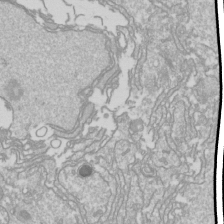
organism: Drosophila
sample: Cell division; meiosis; drosophila spermatocytes